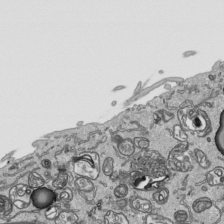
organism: Human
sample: Mitochondria in HCT116 cells